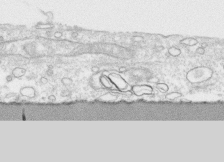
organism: Human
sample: CRL-1474